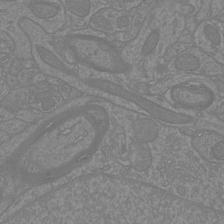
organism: Mouse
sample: Cortical neurons